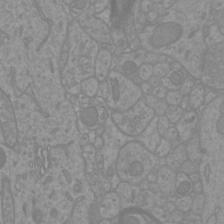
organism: Mouse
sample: Cortical neurons